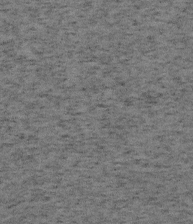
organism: Mouse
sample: OT-I killer T cells with ID8 ovarian cancer cells